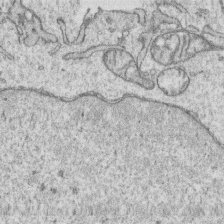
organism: Human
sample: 1205lu cells